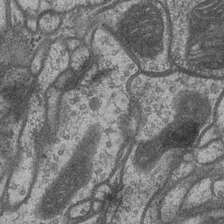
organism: Drosophila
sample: Optic medulla